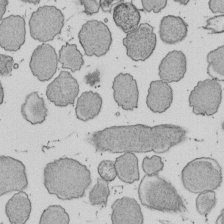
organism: E. coli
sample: Bacterial nucleoid